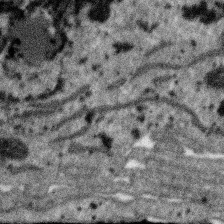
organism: Human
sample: Lung epithelial cells infected with SARS-CoV-2